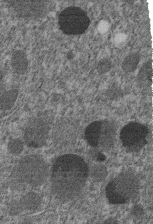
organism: C. elegans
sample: C. elegans embryo early stage